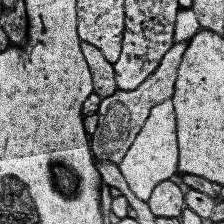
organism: Human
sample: Temporal Lobe